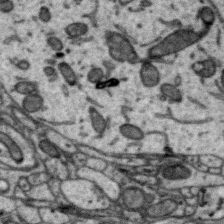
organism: Zebra finch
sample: Brain